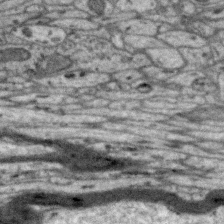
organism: Zebra finch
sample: Brain